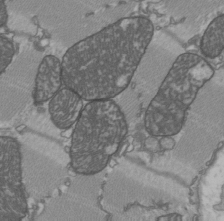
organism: C57BL Mouse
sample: Heart